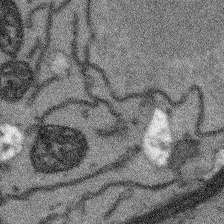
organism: Arabidopsis thaliana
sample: Root tip